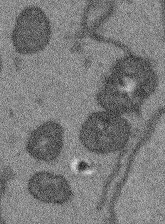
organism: Arabidopsis thaliana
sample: Root tip